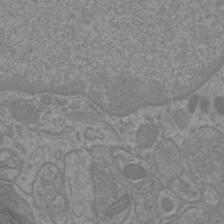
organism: Mouse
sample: Cortical neurons